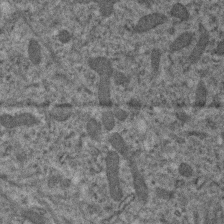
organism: Human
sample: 1205lu cells